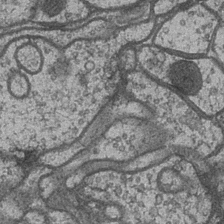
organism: Drosophila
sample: Optic medulla